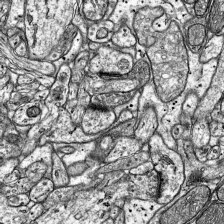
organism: Mouse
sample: Visual Cortex